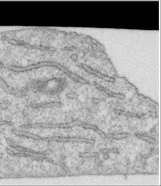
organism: Human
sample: Centriole in RPE cells